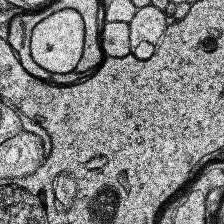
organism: Human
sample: Temporal Lobe